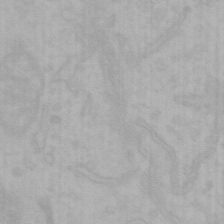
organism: Mouse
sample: Choroid plexus